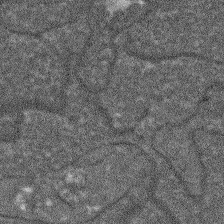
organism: Arabidopsis thaliana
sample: Root tip